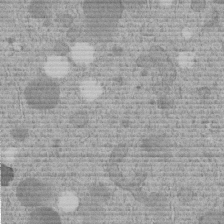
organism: C. elegans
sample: C. elegans embryo early stage